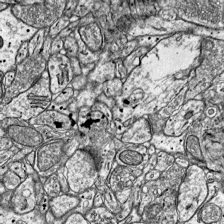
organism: Mouse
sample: Visual Cortex